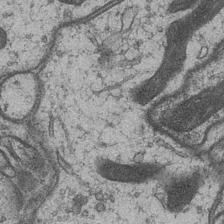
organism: Drosophila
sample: Optic medulla